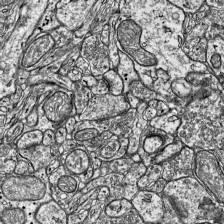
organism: Mouse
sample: Visual Cortex